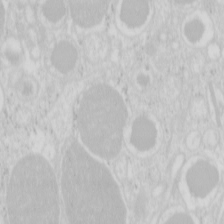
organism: Mouse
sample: Pancreas